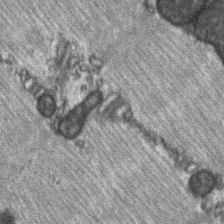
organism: C57BL Mouse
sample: Soleus